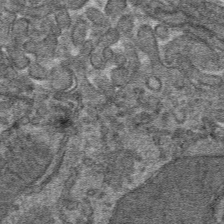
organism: Mouse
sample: Mouse hepatocytes